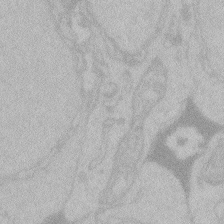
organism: Zebrafish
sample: Macrophage infected with Toxoplasma gondii